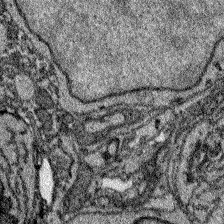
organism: Zebrafish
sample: Larval olfactory bulb